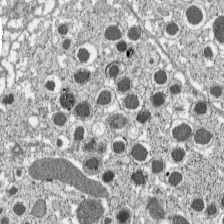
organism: C57BL Mouse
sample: Pancreatic islet